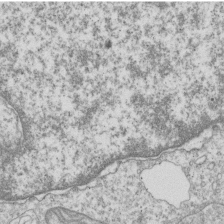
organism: Human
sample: MDA-MB-231 cells